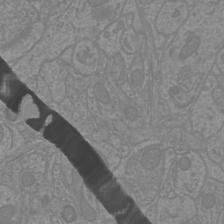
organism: Mouse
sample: Cortical neurons